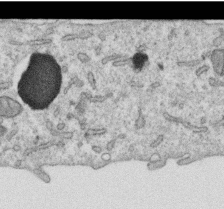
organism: Human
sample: Centriole in RPE cells